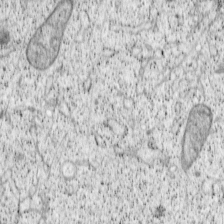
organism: African green monkey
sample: COS-7 cells